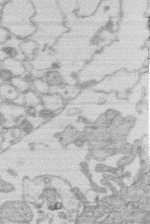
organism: Human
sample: Macrophage cells